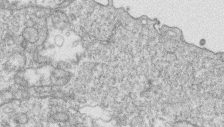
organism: Human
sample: HeLa cell HIV synapse